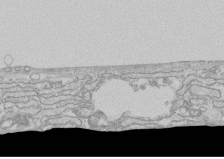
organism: Human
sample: CRL-1474